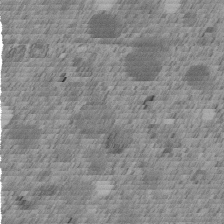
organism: C. elegans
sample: C. elegans embryo early stage